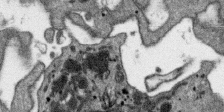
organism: Human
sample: Lung epithelial cells, uninfected (mock) control